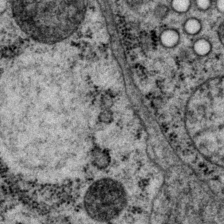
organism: P. pacificus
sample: Pharynx